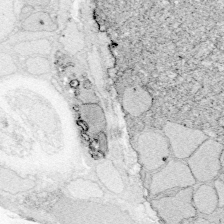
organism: Zebrafish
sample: Whole-Brain